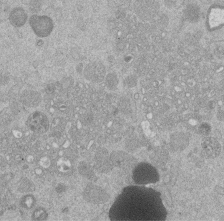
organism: Mouse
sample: Dividing mouse embryo 1 cell stage